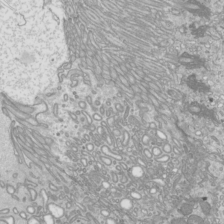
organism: Mouse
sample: Cilia; mouse epididymis